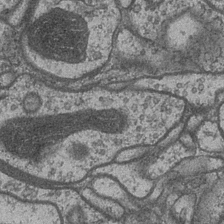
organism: Drosophila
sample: Optic medulla